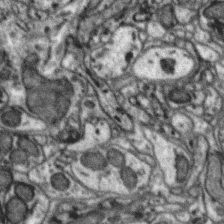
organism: Zebra finch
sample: Brain